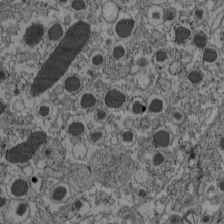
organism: C57BL Mouse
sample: Pancreatic islet